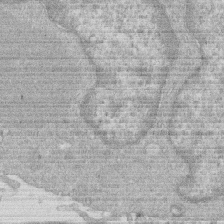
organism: Human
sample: Macrophage cells